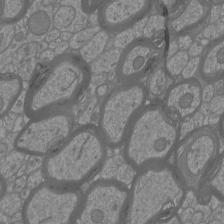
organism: Mouse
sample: Cortical neurons